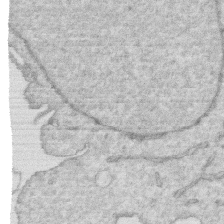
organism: Human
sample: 1205lu cells